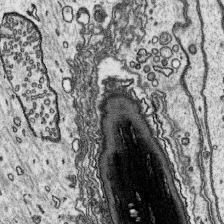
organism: Platynereis dumerilii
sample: Parapodia